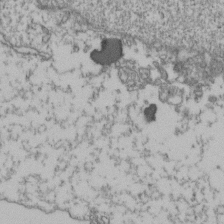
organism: Human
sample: Activated Jurkat CD4+ T cells